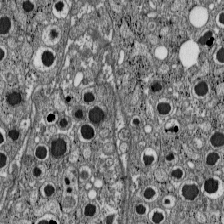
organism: C57BL Mouse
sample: Pancreatic islet